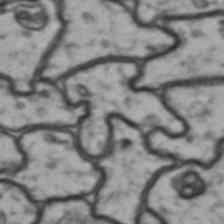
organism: Drosophila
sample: Brain